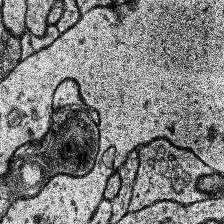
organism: Human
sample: Temporal Lobe